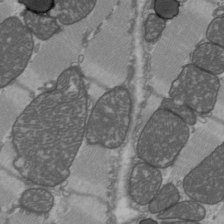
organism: C57BL Mouse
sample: Heart